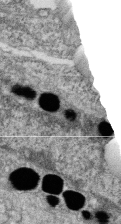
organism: Zebrafish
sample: Cilia; retinal pigment epithelium